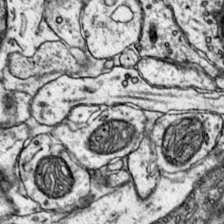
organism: Mouse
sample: Primary visual cortex